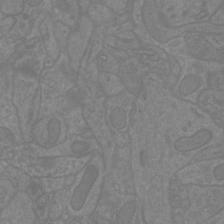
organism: Mouse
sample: Cortical neurons